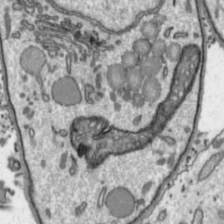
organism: Toxoplasma gondii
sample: Parasites in a vacuole inside a host cell